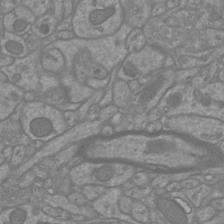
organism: Mouse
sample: Cortical neurons